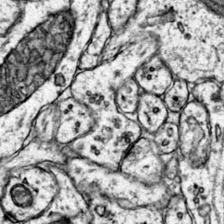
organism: Mouse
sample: Primary visual cortex